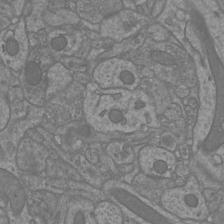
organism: Mouse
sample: Cortical neurons